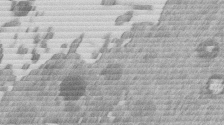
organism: Mouse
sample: Dividing mouse embryo 1 cell stage